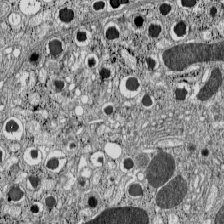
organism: C57BL Mouse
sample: Pancreatic islet